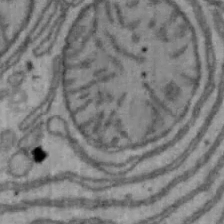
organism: Mouse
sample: Liver